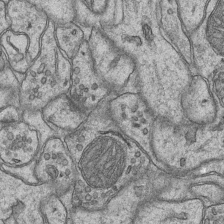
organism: Mouse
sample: CA1 Hippocampus